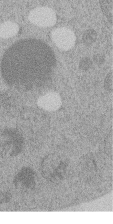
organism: C. elegans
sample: C. elegans embryo early stage